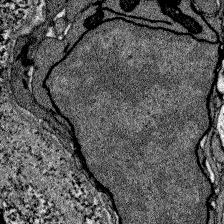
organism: Zebrafish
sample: Larval olfactory bulb